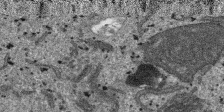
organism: Human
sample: Lung epithelial cells infected with SARS-CoV-2